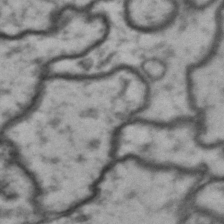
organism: Drosophila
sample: Brain